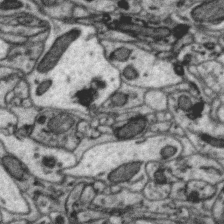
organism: Zebra finch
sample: Brain